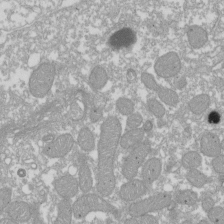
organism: Xenopus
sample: Cilia; centrioles in frog embryo cells